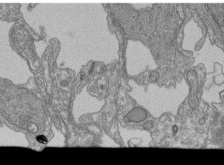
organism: Human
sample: Retinal organoid Rod and Cone cells